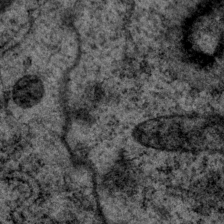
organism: P. pacificus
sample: Pharynx